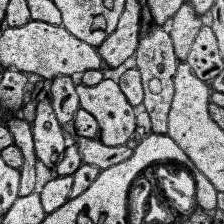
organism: Human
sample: Temporal Lobe